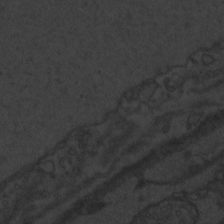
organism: Zebrafish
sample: Macrophage infected with Toxoplasma gondii